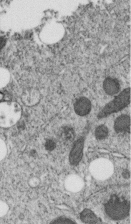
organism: C. elegans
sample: C. elegans embryo early stage